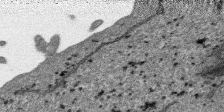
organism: Human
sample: Lung epithelial cells infected with SARS-CoV-2